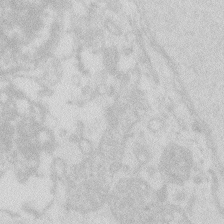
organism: Zebrafish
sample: Macrophage